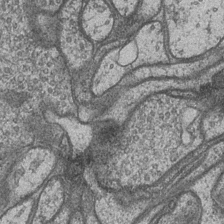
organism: Drosophila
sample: Optic medulla